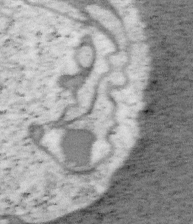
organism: Mouse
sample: OT-I killer T cells with ID8 ovarian cancer cells